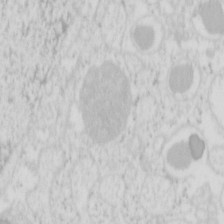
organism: Mouse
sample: Pancreas